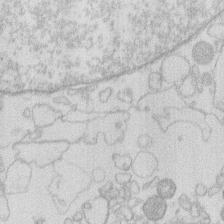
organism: Human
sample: Macrophage cells